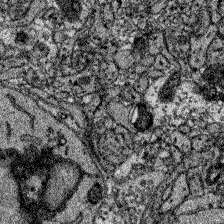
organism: Zebrafish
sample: Larval olfactory bulb